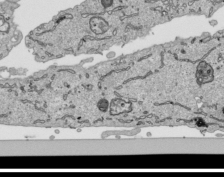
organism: Human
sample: Mitochondria in HCT116 cells